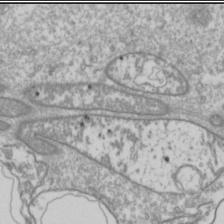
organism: Drosophila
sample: Cell division; meiosis; drosophila spermatocytes